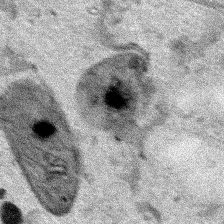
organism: Human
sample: Mitochondria in HCT116 cells